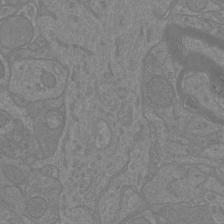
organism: Mouse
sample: Cortical neurons